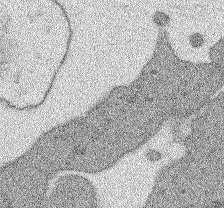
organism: Human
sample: HeLa cells